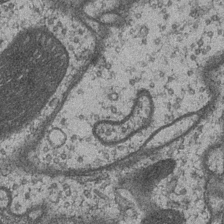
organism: Drosophila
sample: Optic medulla